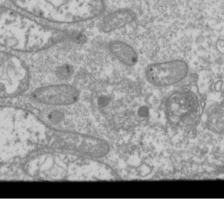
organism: Drosophila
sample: Cell division; meiosis; drosophila spermatocytes